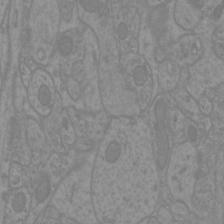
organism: Mouse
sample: Cortical neurons